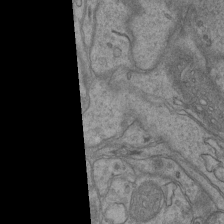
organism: Mouse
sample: CA1 Hippocampus